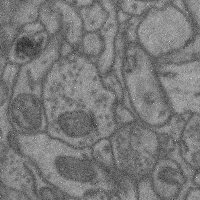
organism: Mouse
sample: Cerebral cortex